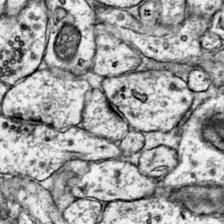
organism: Mouse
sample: Primary visual cortex